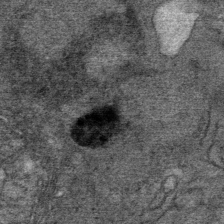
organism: Mouse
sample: Mouse Salivary gland